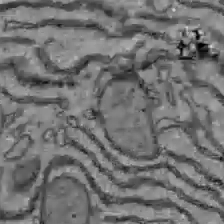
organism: C57BL Mouse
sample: Liver